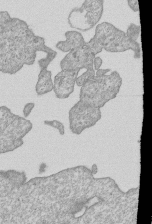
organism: Human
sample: MDA-MB-231 cells